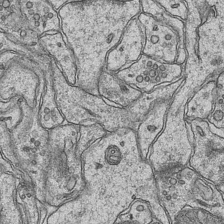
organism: Mouse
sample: CA1 Hippocampus